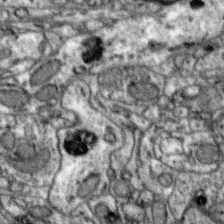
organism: Zebra finch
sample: Brain